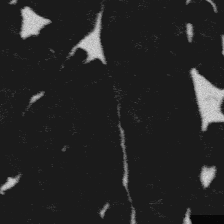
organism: Platynereis dumerilii